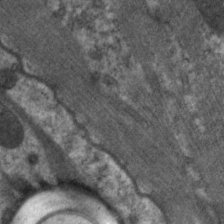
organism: C. elegans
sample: Pharynx